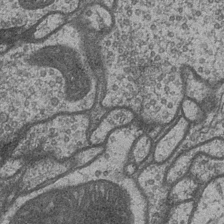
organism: Drosophila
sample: Optic medulla